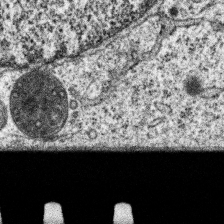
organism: Human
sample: HeLa cells